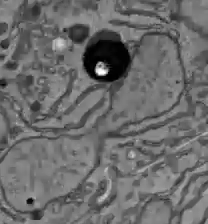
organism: C57BL Mouse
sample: Liver